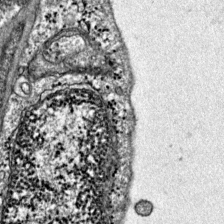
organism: Mouse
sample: Primary visual cortex